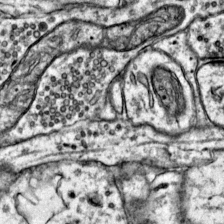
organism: Mouse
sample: Primary visual cortex